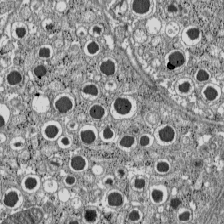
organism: C57BL Mouse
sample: Pancreatic islet